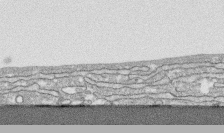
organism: Human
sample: CRL-1474